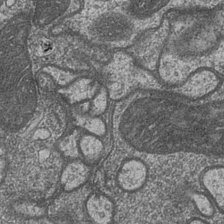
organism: Drosophila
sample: Optic medulla